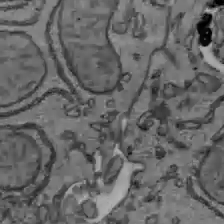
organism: C57BL Mouse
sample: Liver